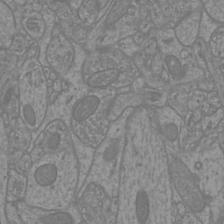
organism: Mouse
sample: Cortical neurons